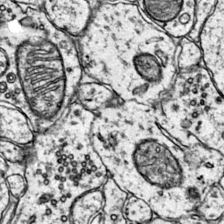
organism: Mouse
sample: Primary visual cortex